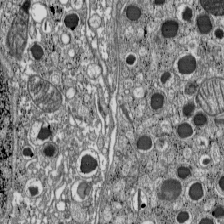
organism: C57BL Mouse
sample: Pancreatic islet